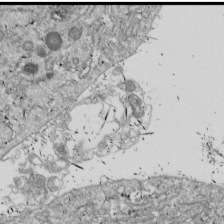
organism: Drosophila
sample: Cell division; meiosis; drosophila spermatocytes